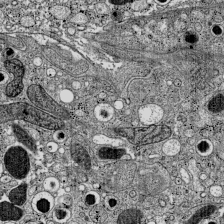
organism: C57BL Mouse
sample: Pancreatic islet